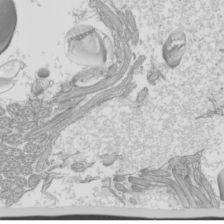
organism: Mouse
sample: Cilia; mouse epididymis